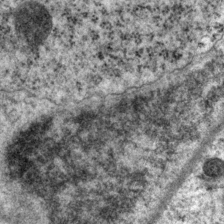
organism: P. pacificus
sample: Pharynx